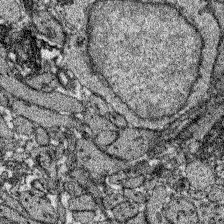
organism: Zebrafish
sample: Larval olfactory bulb